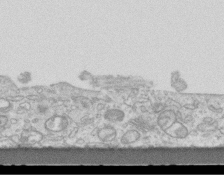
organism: Mouse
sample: Centriole in ependymal cells